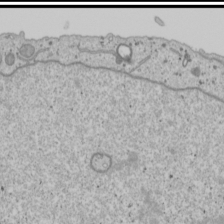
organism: Human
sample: Mitochondria in U2OS cells